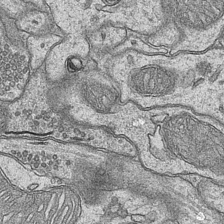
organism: Mouse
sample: CA1 Hippocampus